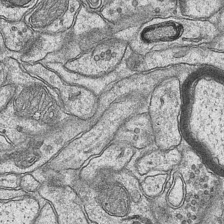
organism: Mouse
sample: CA1 Hippocampus